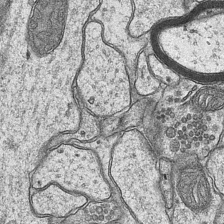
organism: Mouse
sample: CA1 Hippocampus